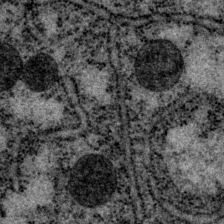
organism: P. pacificus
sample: Pharynx